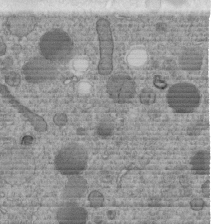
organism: C. elegans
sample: C. elegans embryo early stage